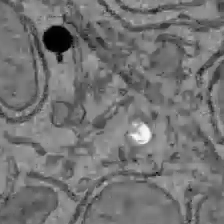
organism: C57BL Mouse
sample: Liver